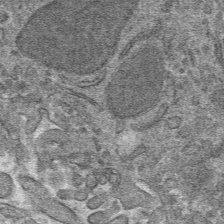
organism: Mouse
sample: Mouse hepatocytes